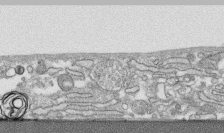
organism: Human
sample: CRL-1474